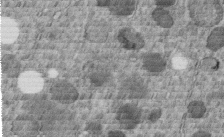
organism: C. elegans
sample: C. elegans embryo early stage